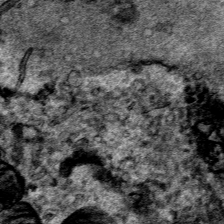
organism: Human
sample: Mitochondria in HCT116 cells